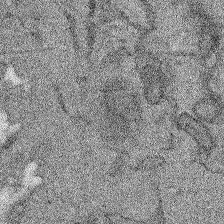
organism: Human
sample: HeLa cells